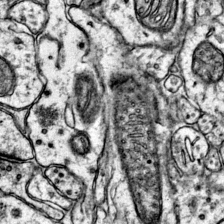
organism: Mouse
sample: Primary visual cortex